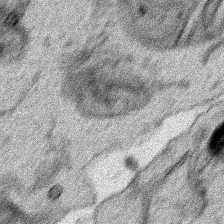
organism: Human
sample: Mitochondria in HCT116 cells